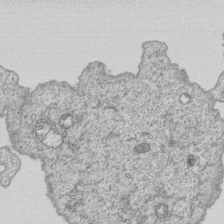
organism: Human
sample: MDA-MB-231 cells